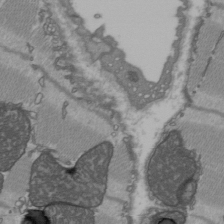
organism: C57BL Mouse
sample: Heart